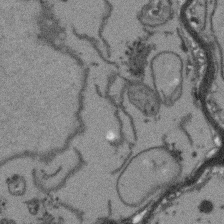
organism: Arabidopsis thaliana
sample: Root tip